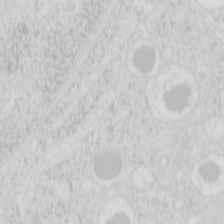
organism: Mouse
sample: Pancreas